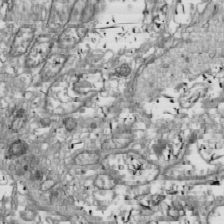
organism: Drosophila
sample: Cell division; meiosis; drosophila spermatocytes